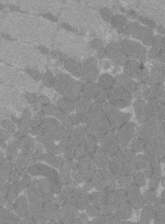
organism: C57BL Mouse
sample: Tibialis anterior muscle cell